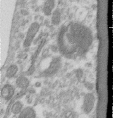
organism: Human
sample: Centriole in RPE cells